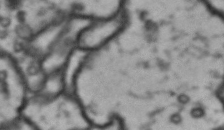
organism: Drosophila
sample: Brain